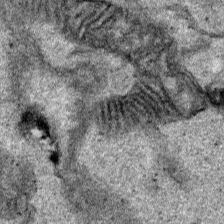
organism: Human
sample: Mitochondria in HCT116 cells